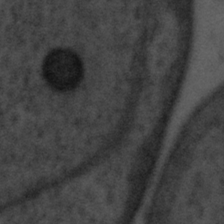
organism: Tuwongella immobilis